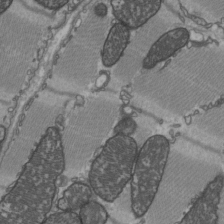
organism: C57BL Mouse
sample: Heart